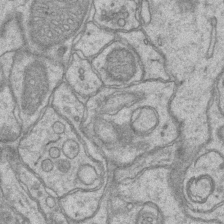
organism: Mouse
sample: CA1 Hippocampus